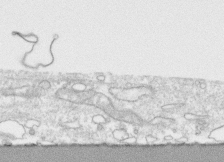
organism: Human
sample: CRL-1474